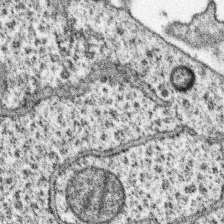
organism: Human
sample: HeLa cells